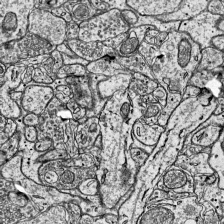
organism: Mouse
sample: Visual Cortex